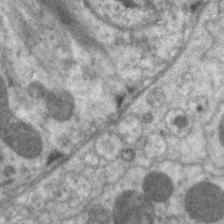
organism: C. elegans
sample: Pharynx